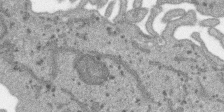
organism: Human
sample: Lung epithelial cells infected with SARS-CoV-2